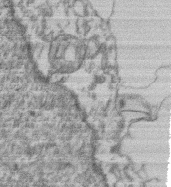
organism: Mouse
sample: T cell stromal cell synapse